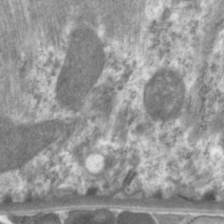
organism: C. elegans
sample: Pharynx